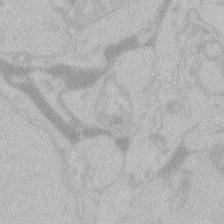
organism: Zebrafish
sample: Macrophage infected with Toxoplasma gondii